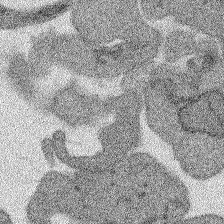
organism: Human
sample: HeLa cells